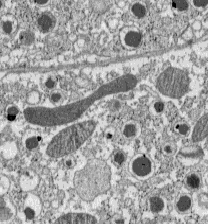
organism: C57BL Mouse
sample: Pancreatic islet